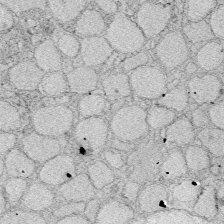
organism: Zebrafish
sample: Whole-Brain